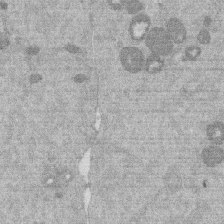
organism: Mouse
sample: Dividing mouse embryo 1 cell stage